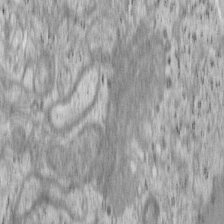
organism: Human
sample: HeLa cells